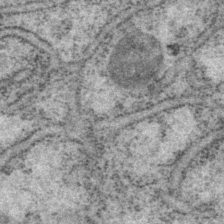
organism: P. pacificus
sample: Pharynx